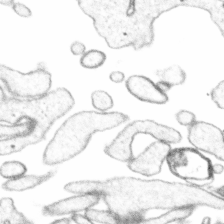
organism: Human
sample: HeLa cells